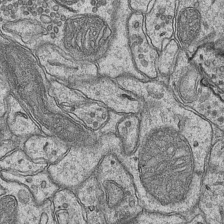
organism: Mouse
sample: CA1 Hippocampus